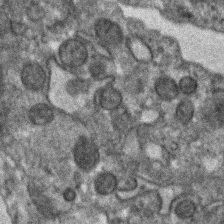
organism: Human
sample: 1205lu cells